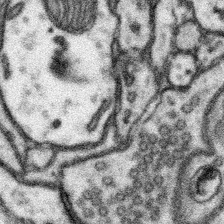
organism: Mouse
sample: Somatosensory cortex neuropil